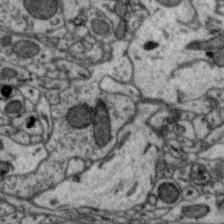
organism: Zebra finch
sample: Brain